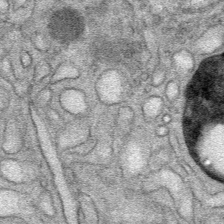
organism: Mouse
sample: Mouse Salivary gland